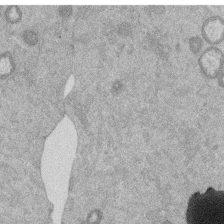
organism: Mouse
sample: Dividing mouse embryo 1 cell stage